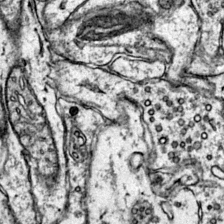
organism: Mouse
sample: Primary visual cortex